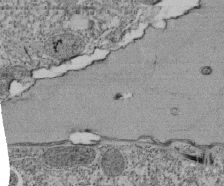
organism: Tetrahymena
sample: Cilia in tetrahymena